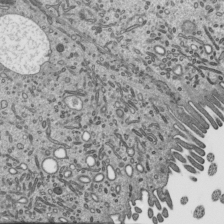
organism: Mouse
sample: Mouse epididymis efferent ductule cilia